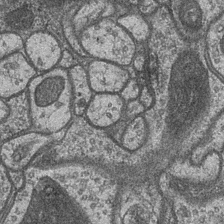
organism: Drosophila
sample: Optic medulla